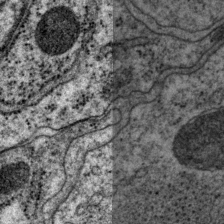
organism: P. pacificus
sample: Pharynx